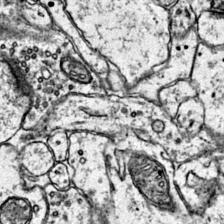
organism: Mouse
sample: Primary visual cortex